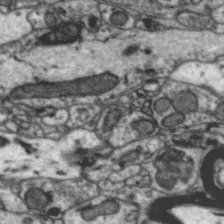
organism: Zebra finch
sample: Brain